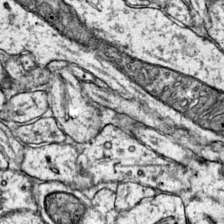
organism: Mouse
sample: Primary visual cortex